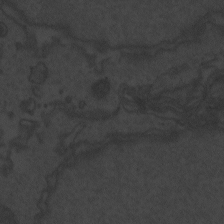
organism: Zebrafish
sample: Macrophage infected with Toxoplasma gondii